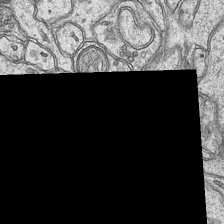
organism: Mouse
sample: CA1 Hippocampus